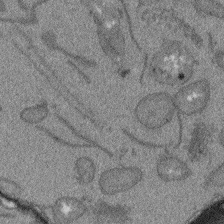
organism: Arabidopsis thaliana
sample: Root tip